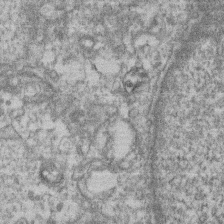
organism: Mouse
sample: T cell stromal cell synapse